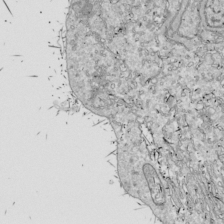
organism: Drosophila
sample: Cell division; meiosis; drosophila spermatocytes